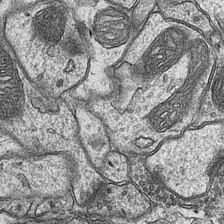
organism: Mouse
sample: CA1 Hippocampus